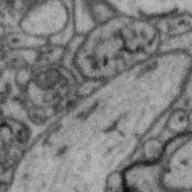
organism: Zebra finch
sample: Brain